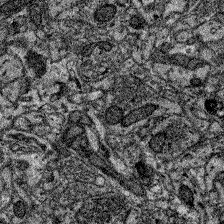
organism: Zebrafish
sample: Larval olfactory bulb